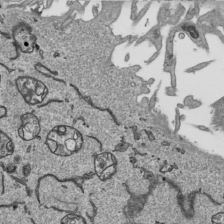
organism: Human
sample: Mitochondria in HCT116 cells